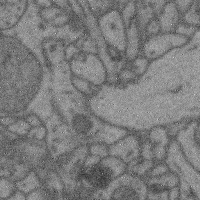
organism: Mouse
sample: Cerebral cortex